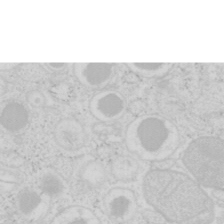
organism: Mouse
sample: Pancreas